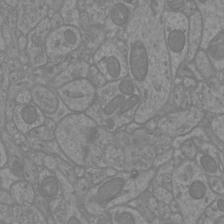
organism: Mouse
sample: Cortical neurons